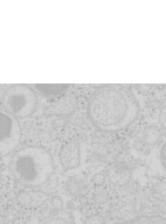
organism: Mouse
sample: Pancreas